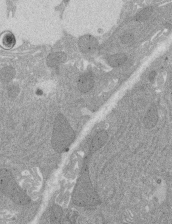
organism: Rat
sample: Salivary granule